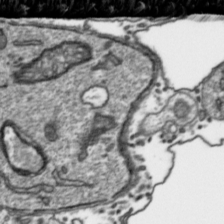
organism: Toxoplasma gondii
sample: Parasites in a vacuole inside a host cell